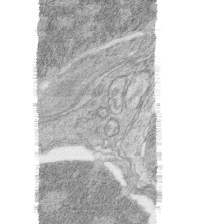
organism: Zebrafish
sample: synaptic ribbons in rod cells and cone cells